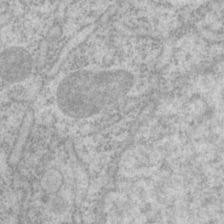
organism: P. pacificus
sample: Pharynx